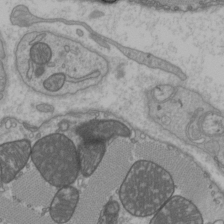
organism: C57BL Mouse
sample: Heart